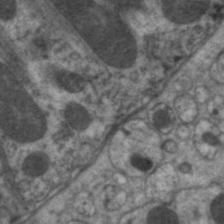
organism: C. elegans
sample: Pharynx